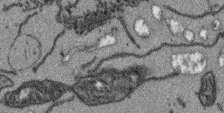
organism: Arabidopsis thaliana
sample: Root tip